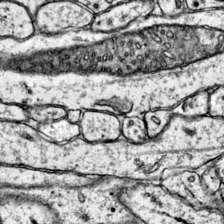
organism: Mouse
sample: Primary visual cortex